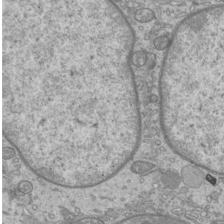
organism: Mouse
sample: Cilia; mouse epididymis